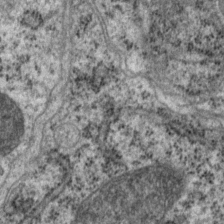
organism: P. pacificus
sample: Pharynx